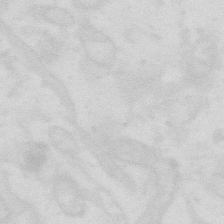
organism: Human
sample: HeLa cells